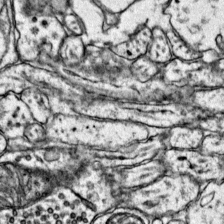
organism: Mouse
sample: Primary visual cortex